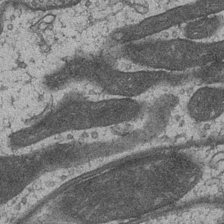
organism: Drosophila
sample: Optic medulla